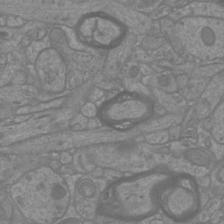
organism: Mouse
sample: Cortical neurons